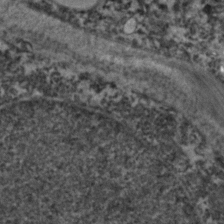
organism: Zebrafish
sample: Zebrafish embryo